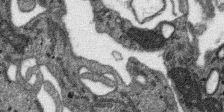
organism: Human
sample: Lung epithelial cells infected with SARS-CoV-2